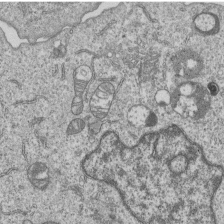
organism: Human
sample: MDA-MB-231 cells